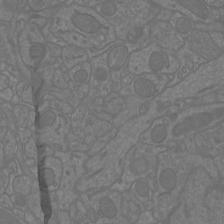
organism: Mouse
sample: Cortical neurons